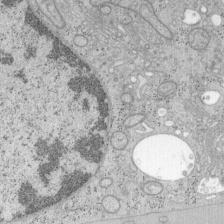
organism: Mouse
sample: OT-I killer T cells with ID8 ovarian cancer cells